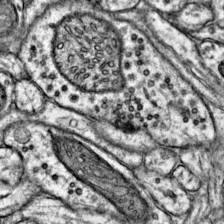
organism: Mouse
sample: Primary visual cortex